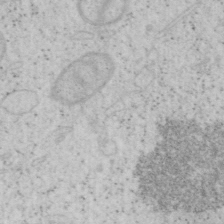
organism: Human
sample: HeLa cells